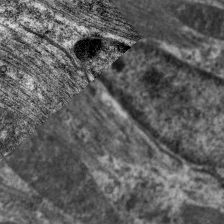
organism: C. elegans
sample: Pharynx